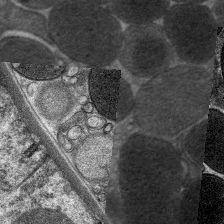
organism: C. elegans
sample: Pharynx